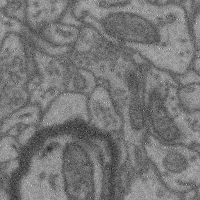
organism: Mouse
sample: Cerebral cortex